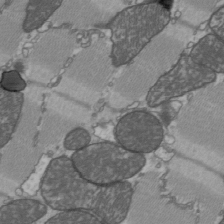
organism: C57BL Mouse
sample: Heart